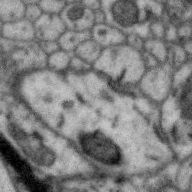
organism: Zebra finch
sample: Brain